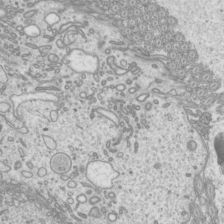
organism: Mouse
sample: Cilia; mouse epididymis